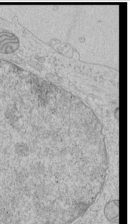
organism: Human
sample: Mitochondria in HCT116 cells